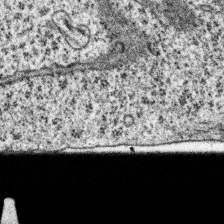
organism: Human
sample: HeLa cells